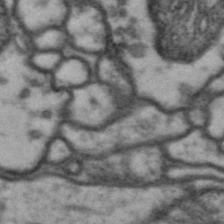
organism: Drosophila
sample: Brain